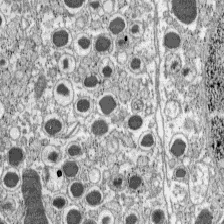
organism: C57BL Mouse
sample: Pancreatic islet